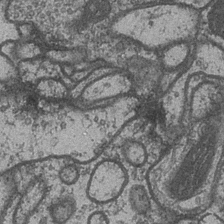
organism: Drosophila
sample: Optic medulla